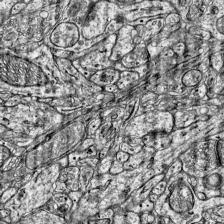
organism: Mouse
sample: Visual Cortex